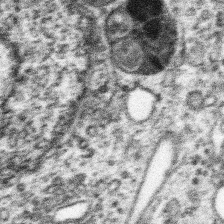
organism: Human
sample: HeLa cells